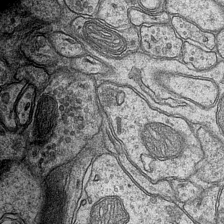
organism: Mouse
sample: CA1 Hippocampus